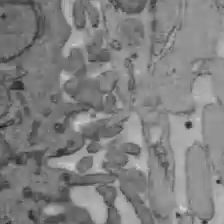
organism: C57BL Mouse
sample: Liver